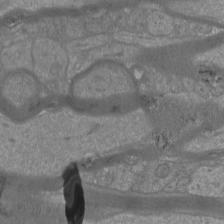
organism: Mouse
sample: Cortical neurons